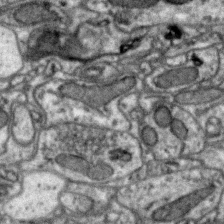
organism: Zebra finch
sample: Brain